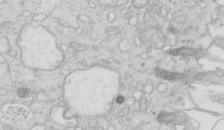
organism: Mouse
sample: Multiciliated cells